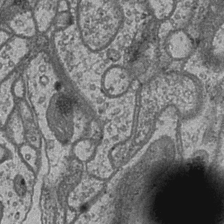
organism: Drosophila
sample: Optic medulla